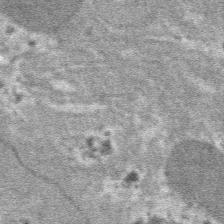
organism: Mouse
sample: Mouse hepatocytes